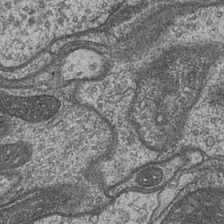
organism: Drosophila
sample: Optic medulla